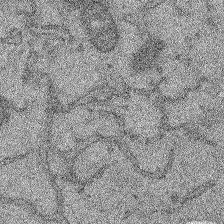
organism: Human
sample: HeLa cells